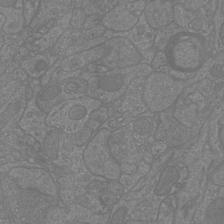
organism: Mouse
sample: Cortical neurons